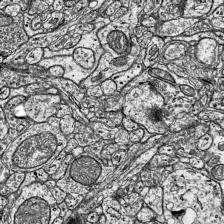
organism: Mouse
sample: Visual Cortex